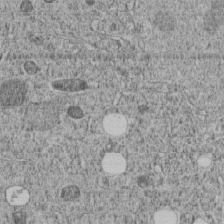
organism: C. elegans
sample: C. elegans embryo early stage